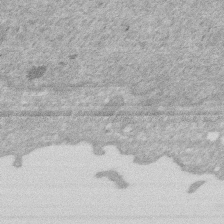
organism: Human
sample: HIV infected U937 cells